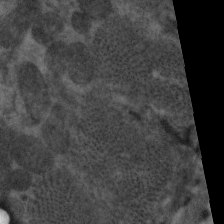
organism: C. elegans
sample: Pharynx